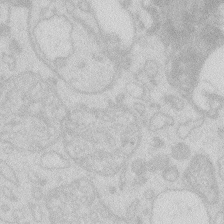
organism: Zebrafish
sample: Macrophage